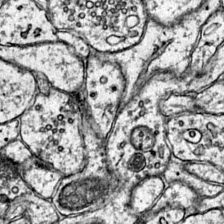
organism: Mouse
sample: Primary visual cortex